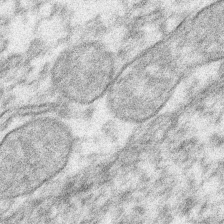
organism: Xenopus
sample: Cilia; centrioles in frog embryo cells